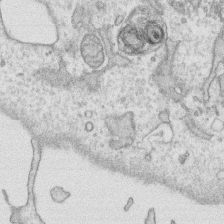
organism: Human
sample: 1205lu cells